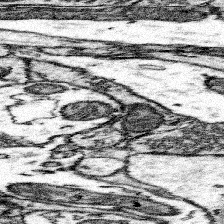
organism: Mouse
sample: Somatosensory cortex neuropil